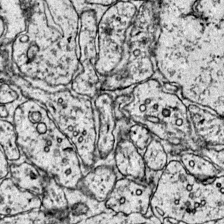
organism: Mouse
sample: Primary visual cortex